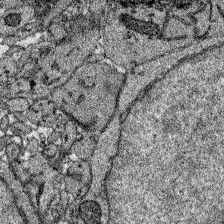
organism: Zebrafish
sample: Larval olfactory bulb